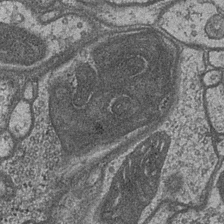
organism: Drosophila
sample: Optic medulla